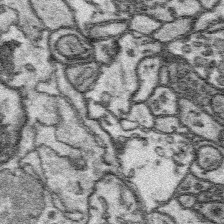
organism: Platynereis dumerilii